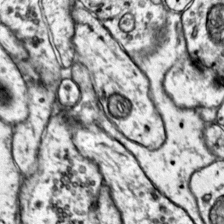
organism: Mouse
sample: Primary visual cortex